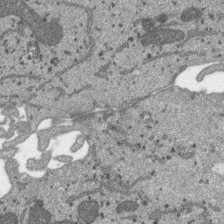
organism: Human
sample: Lung epithelial cells infected with SARS-CoV-2